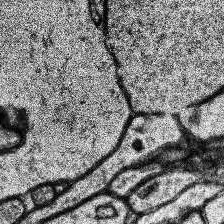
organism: Human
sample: Temporal Lobe